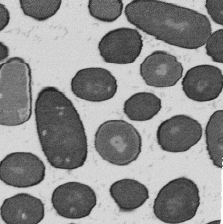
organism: B. subtilis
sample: Bacterial spore